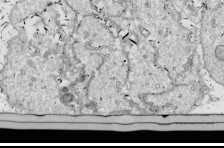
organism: Drosophila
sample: Cell division; meiosis; drosophila spermatocytes